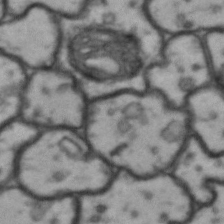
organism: Drosophila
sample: Brain